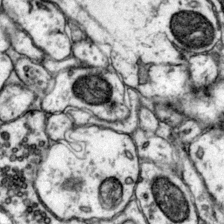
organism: Mouse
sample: Primary visual cortex